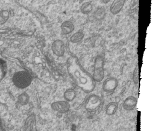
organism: Human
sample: MDA-MB-231 cells